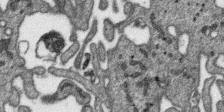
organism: Human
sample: Lung epithelial cells infected with SARS-CoV-2